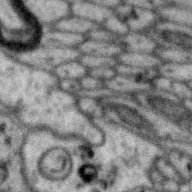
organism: Zebra finch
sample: Brain